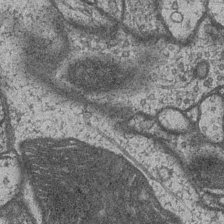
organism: Drosophila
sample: Optic medulla